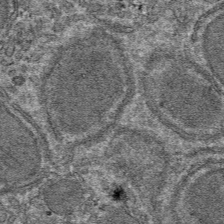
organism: Mouse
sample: Mouse hepatocytes